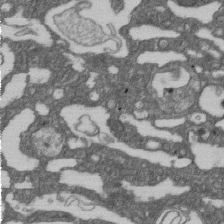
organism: Drosophila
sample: Nephrocyte